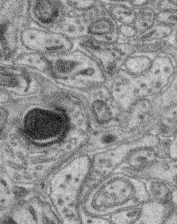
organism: Mouse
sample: Retina